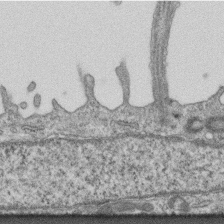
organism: Mouse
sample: Centriole in ependymal cells